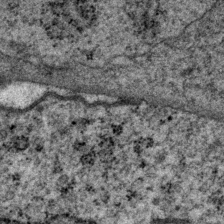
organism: P. pacificus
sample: Pharynx